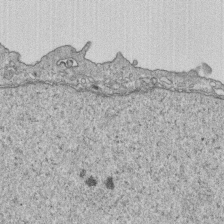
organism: Human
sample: HeLa cell HIV synapse